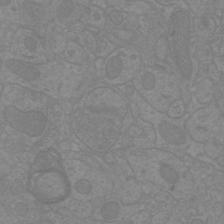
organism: Mouse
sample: Cortical neurons